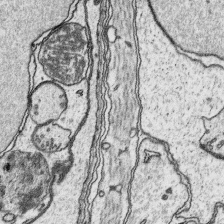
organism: Platynereis dumerilii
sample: Parapodia